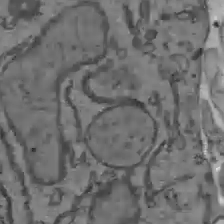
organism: C57BL Mouse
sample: Liver